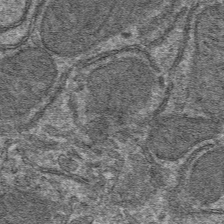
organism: Mouse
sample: Mouse hepatocytes